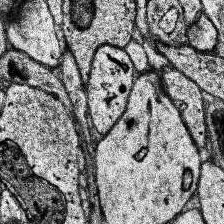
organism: Human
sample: Temporal Lobe